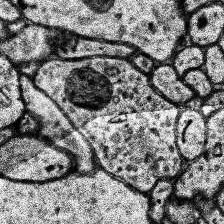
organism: Human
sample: Temporal Lobe